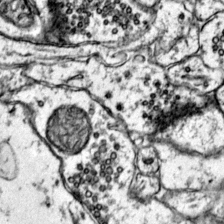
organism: Mouse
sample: Primary visual cortex